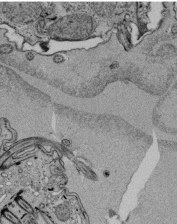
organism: Tetrahymena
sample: Cilia in tetrahymena